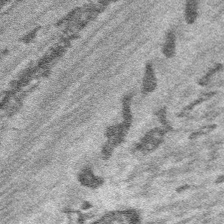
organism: Platynereis dumerilii